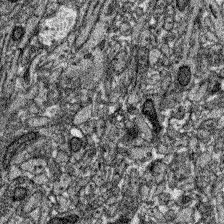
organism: Zebrafish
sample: Larval olfactory bulb